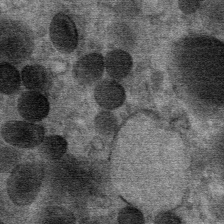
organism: Mouse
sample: Mouse Salivary gland